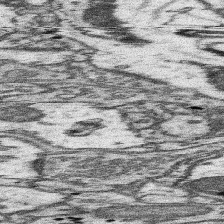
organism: Mouse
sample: Somatosensory cortex neuropil